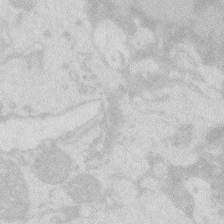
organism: Zebrafish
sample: Macrophage